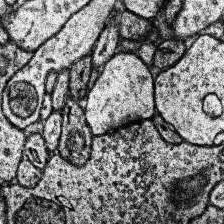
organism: Human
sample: Temporal Lobe